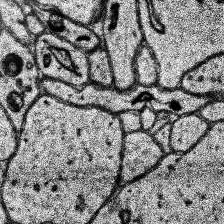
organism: Human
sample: Temporal Lobe